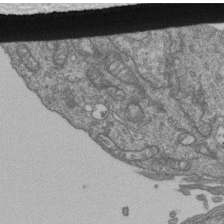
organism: Human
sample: Retinal organoid Rod and Cone cells